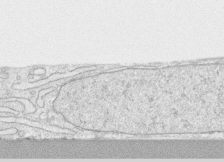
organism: Human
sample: CRL-1474